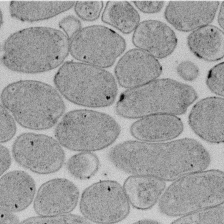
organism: E. coli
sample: Bacterial nucleoid